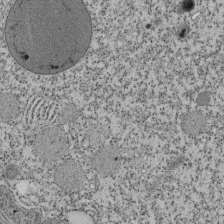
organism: Tetrahymena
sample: Cilia in tetrahymena